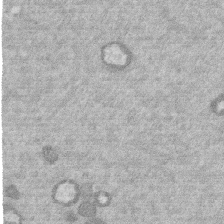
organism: Mouse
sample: Dividing mouse embryo 1 cell stage